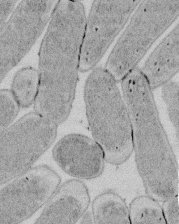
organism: E. coli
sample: Bacterial nucleoid